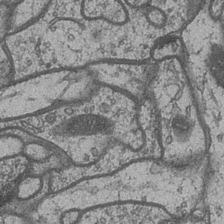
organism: Drosophila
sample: Optic medulla